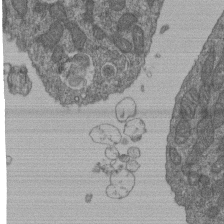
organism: Human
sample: Retinal organoid Rod and Cone cells